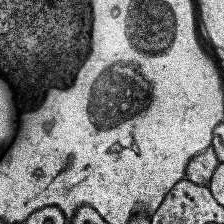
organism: Human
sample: Temporal Lobe